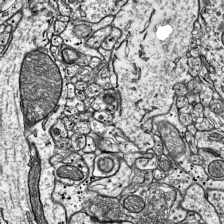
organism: Mouse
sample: Visual Cortex